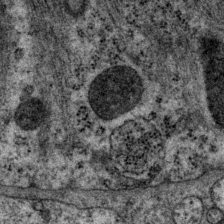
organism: P. pacificus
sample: Pharynx